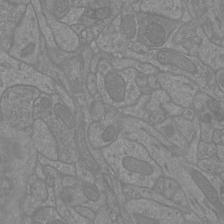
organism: Mouse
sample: Cortical neurons